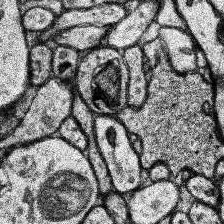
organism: Human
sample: Temporal Lobe